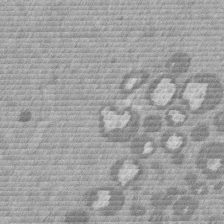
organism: Mouse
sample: Dividing mouse embryo 1 cell stage